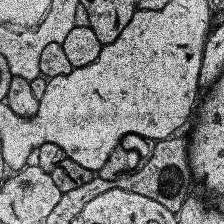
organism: Human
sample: Temporal Lobe